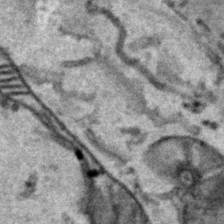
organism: Human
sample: Mitochondria in HCT116 cells